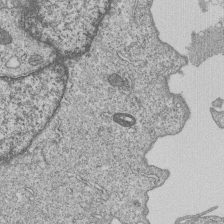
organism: Human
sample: MDA-MB-231 cells